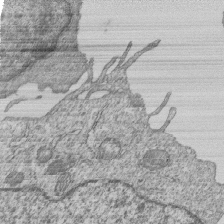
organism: Human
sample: MDA-MB-231 cells